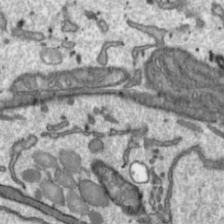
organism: Toxoplasma gondii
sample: Parasites in a vacuole inside a host cell